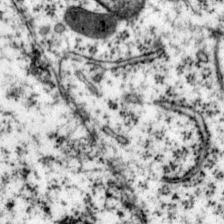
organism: Mouse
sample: Primary visual cortex